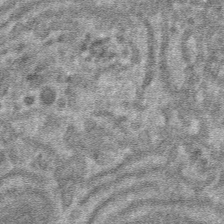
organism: Mouse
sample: Mouse hepatocytes